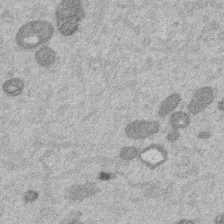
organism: Mouse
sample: Dividing mouse embryo 1 cell stage